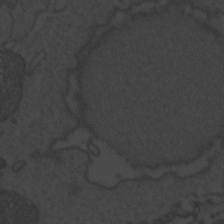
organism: Zebrafish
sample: Macrophage infected with Toxoplasma gondii